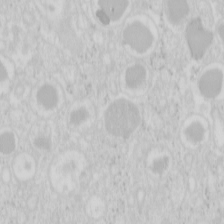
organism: Mouse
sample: Pancreas